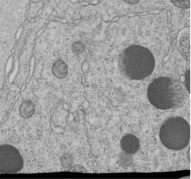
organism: C. elegans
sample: C. elegans embryo early stage